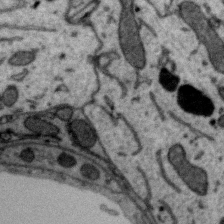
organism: Zebra finch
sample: Brain